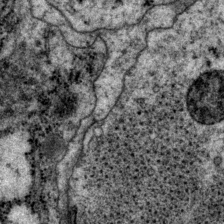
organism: P. pacificus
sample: Pharynx